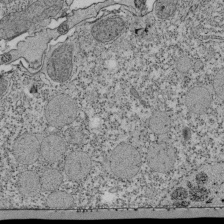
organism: Tetrahymena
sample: Cilia in tetrahymena